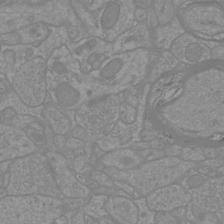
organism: Mouse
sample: Cortical neurons